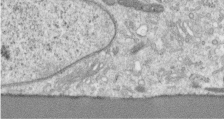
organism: Human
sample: Centriole in RPE cells